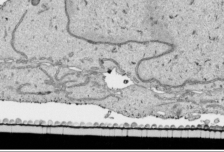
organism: Human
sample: Mitochondria in HCT116 cells